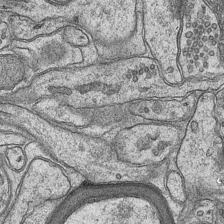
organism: Mouse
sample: CA1 Hippocampus